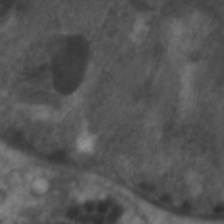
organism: C. elegans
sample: Pharynx